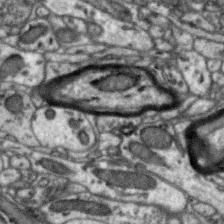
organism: Zebra finch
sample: Brain